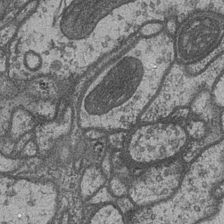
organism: Drosophila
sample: Optic medulla